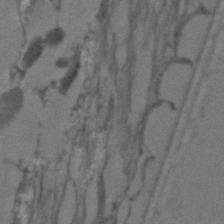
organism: C. elegans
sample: C. elegans embryo